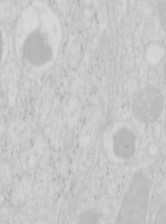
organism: Mouse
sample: Pancreas